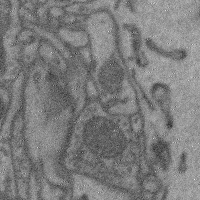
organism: Mouse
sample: Cerebral cortex